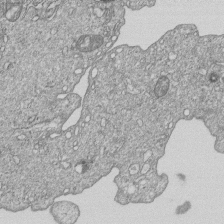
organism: Human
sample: MDA-MB-231 cells